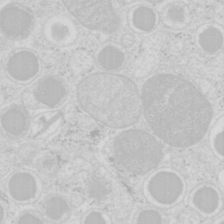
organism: Mouse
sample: Pancreas